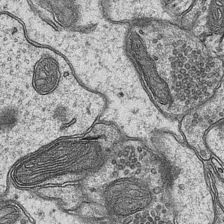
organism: Mouse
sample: CA1 Hippocampus